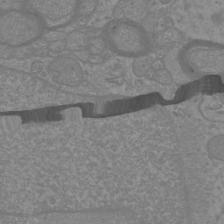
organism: Mouse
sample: Cortical neurons